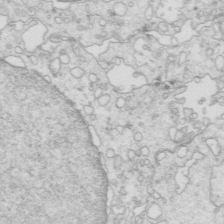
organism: Mouse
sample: Multiciliated cells